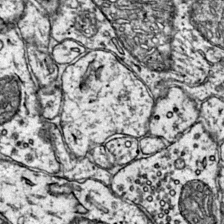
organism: Mouse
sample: Primary visual cortex